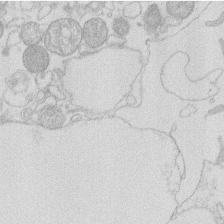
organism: Human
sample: Macrophage cells